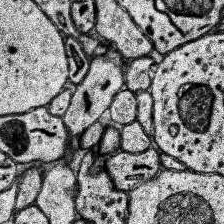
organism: Human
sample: Temporal Lobe